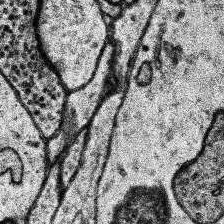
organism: Human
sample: Temporal Lobe